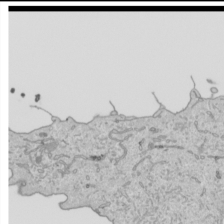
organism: Human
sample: Mitochondria in HCT116 cells